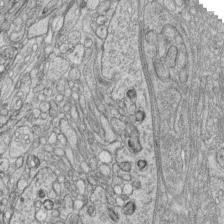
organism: Zebrafish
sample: synaptic ribbons in rod cells and cone cells